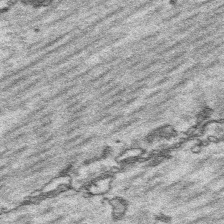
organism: Platynereis dumerilii